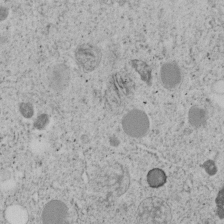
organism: C. elegans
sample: C. elegans embryo early stage